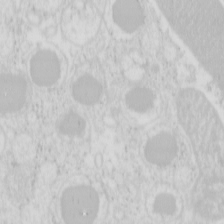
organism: Mouse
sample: Pancreas